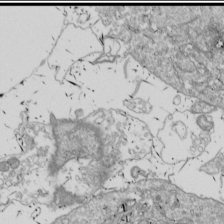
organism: Drosophila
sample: Cell division; meiosis; drosophila spermatocytes